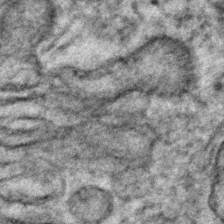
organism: Human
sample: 1205lu cells